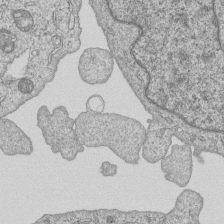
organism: Human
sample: MDA-MB-231 cells